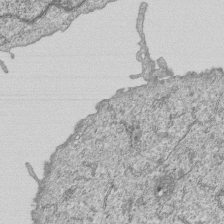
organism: Human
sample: MDA-MB-231 cells